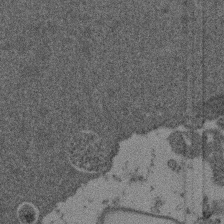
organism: Mouse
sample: Dividing mouse embryo 1 cell stage